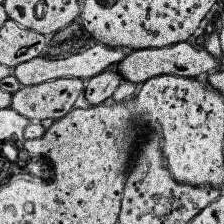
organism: Human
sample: Temporal Lobe